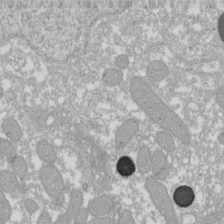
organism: Xenopus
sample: Cilia; centrioles in frog embryo cells